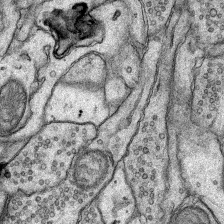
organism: Rat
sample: Hippocampus